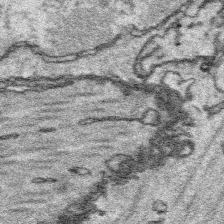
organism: Platynereis dumerilii